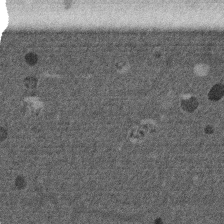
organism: Mouse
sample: Dividing mouse embryo 1 cell stage